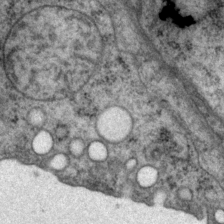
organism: P. pacificus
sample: Pharynx